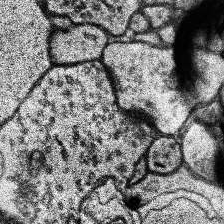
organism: Human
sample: Temporal Lobe